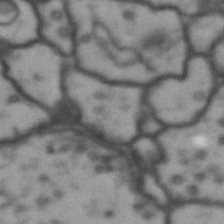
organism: Drosophila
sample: Brain